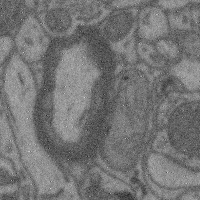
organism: Mouse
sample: Cerebral cortex